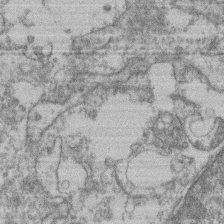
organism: Mouse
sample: T cell stromal cell synapse